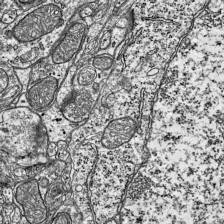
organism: Mouse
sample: Visual Cortex